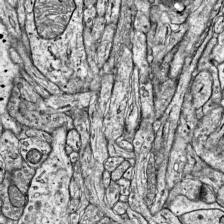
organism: Mouse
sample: Visual Cortex